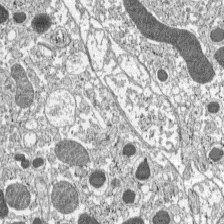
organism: C57BL Mouse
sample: Pancreatic islet